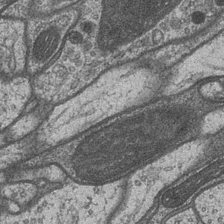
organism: Drosophila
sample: Optic medulla